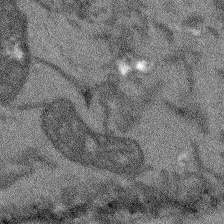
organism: Arabidopsis thaliana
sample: Root tip